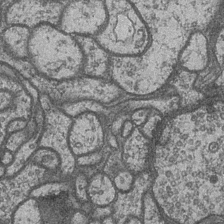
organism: Drosophila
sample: Optic medulla